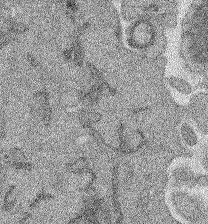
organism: Human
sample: HeLa cells